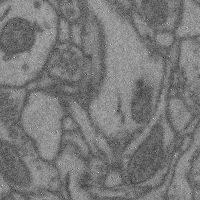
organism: Mouse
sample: Cerebral cortex